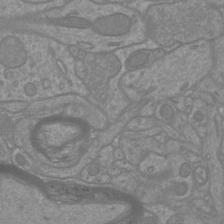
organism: Mouse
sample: Cortical neurons